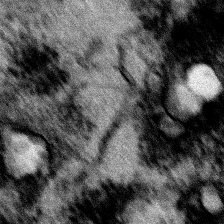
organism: Human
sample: Mitochondria in HCT116 cells